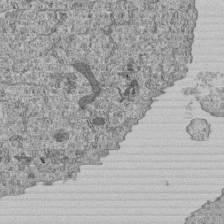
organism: Human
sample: MDA-MB-231 cells